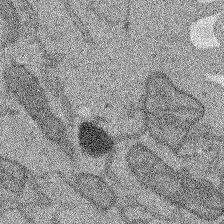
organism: Human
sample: HeLa cells